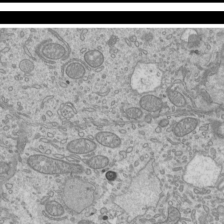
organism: Mouse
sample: Cilia; mouse epididymis